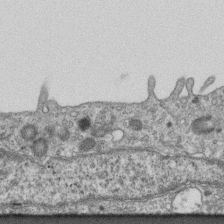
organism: Mouse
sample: Centriole in ependymal cells